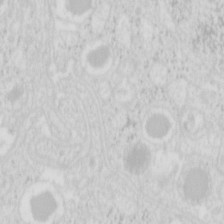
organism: Mouse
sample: Pancreas